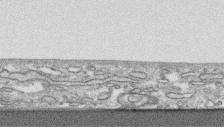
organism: Human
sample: CRL-1474